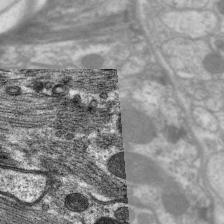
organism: C. elegans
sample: Pharynx